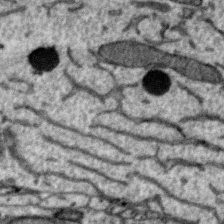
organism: Zebra finch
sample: Brain